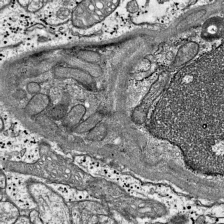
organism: Mouse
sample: Visual Cortex